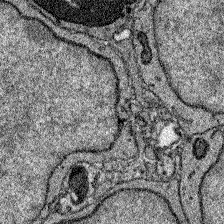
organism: Zebrafish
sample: Larval olfactory bulb